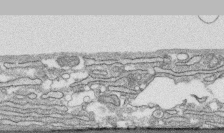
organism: Human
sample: CRL-1474